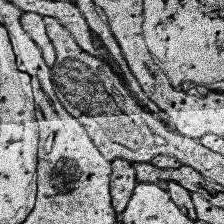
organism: Human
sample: Temporal Lobe